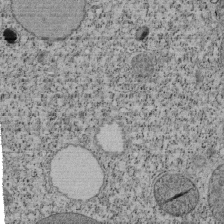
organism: Tetrahymena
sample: Cilia in tetrahymena